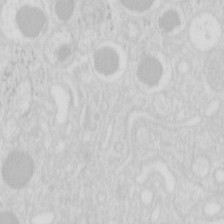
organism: Mouse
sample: Pancreas